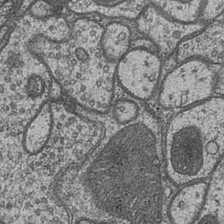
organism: Drosophila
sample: Optic medulla